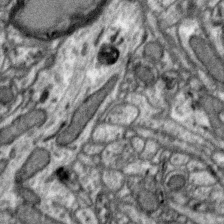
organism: Zebra finch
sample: Brain